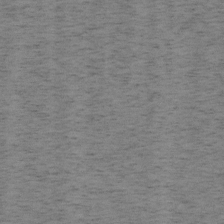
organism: Mouse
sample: OT-I killer T cells with ID8 ovarian cancer cells